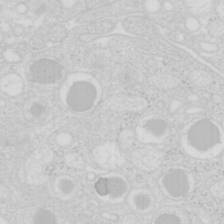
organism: Mouse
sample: Pancreas